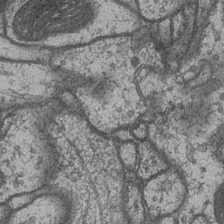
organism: Drosophila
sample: Optic medulla